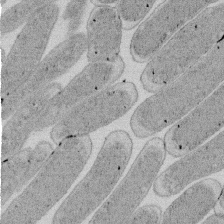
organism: E. coli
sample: Bacterial nucleoid